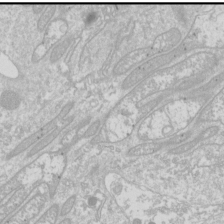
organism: Drosophila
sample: Cell division; meiosis; drosophila spermatocytes